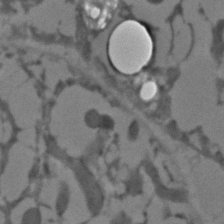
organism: C. elegans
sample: C. elegans embryo